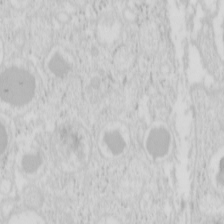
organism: Mouse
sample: Pancreas